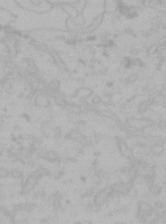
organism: Mouse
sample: Choroid plexus